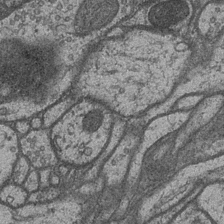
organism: Drosophila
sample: Optic medulla